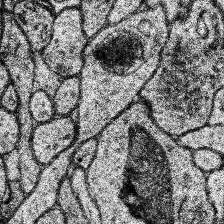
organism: Human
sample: Temporal Lobe